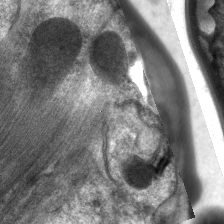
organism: C. elegans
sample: Pharynx